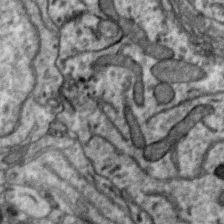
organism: Zebra finch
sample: Brain